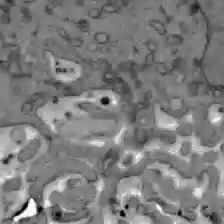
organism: C57BL Mouse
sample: Liver